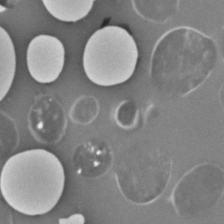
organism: C. elegans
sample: C. elegans embryo